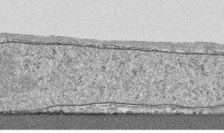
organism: Human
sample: CRL-1474